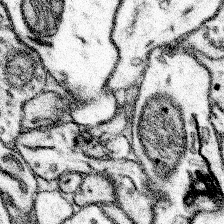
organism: Mouse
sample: Somatosensory cortex neuropil